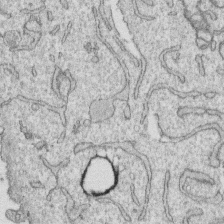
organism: Human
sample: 1205lu cells